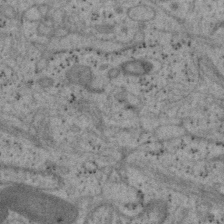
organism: Human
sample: HeLa cells